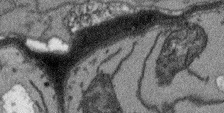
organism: Arabidopsis thaliana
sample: Root tip